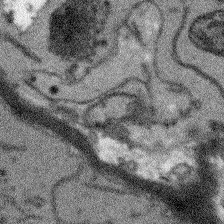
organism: Arabidopsis thaliana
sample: Root tip